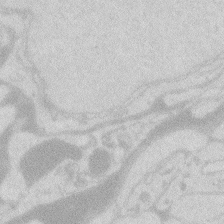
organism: Zebrafish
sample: Macrophage